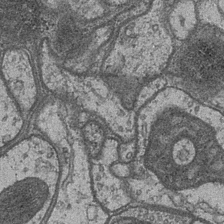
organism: Drosophila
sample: Optic medulla